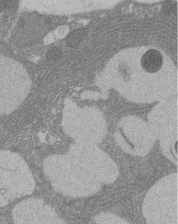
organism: Rat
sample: Salivary granule